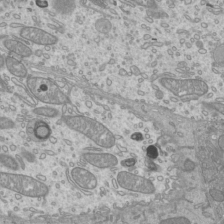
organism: Mouse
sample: Cilia; mouse epididymis